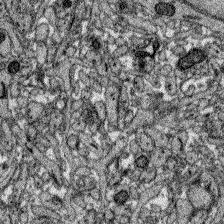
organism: Zebrafish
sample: Larval olfactory bulb